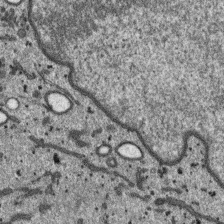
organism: Human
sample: Lung epithelial cells infected with SARS-CoV-2